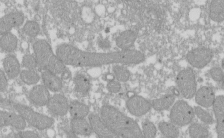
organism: Xenopus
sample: Cilia; centrioles in frog embryo cells